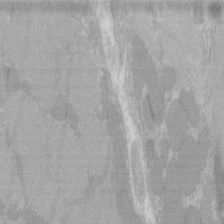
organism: C57BL Mouse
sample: Tibialis anterior muscle cell